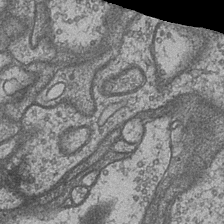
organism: Drosophila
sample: Optic medulla